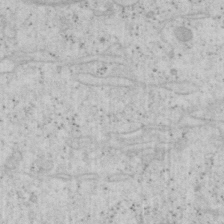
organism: Human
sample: HeLa cells